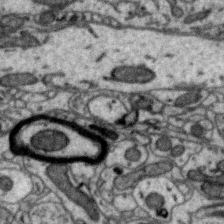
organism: Zebra finch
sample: Brain